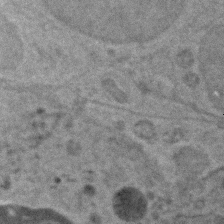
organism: Zebrafish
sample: Zebrafish embryo